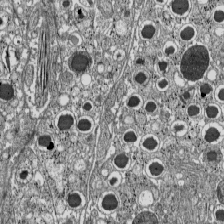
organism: C57BL Mouse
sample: Pancreatic islet